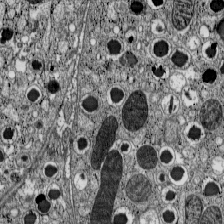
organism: C57BL Mouse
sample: Pancreatic islet